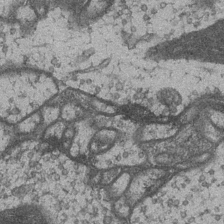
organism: Drosophila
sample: Optic medulla